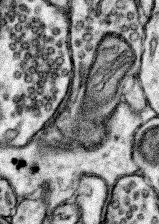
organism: Mouse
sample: Somatosensory cortex neuropil